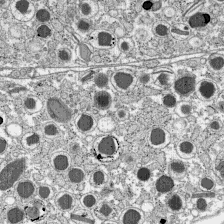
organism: C57BL Mouse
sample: Pancreatic islet